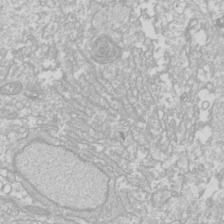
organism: Drosophila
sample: Cell division; meiosis; drosophila spermatocytes